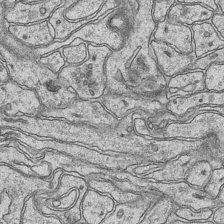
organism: Mouse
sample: CA1 Hippocampus